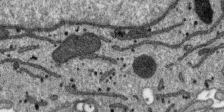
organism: Human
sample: Lung epithelial cells, uninfected (mock) control